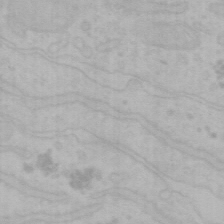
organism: Mouse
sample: Choroid plexus